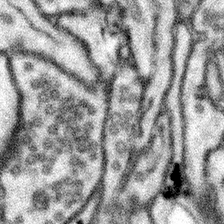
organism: Mouse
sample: Somatosensory cortex neuropil